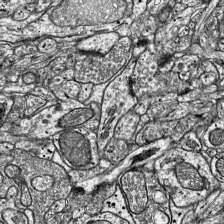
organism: Mouse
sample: Visual Cortex